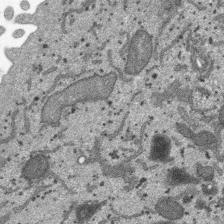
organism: Human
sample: Lung epithelial cells infected with SARS-CoV-2